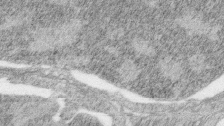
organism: Zebrafish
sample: synaptic ribbons in rod cells and cone cells